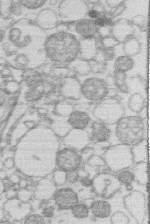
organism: Human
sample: Macrophage cells